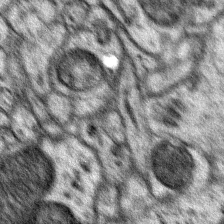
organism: Mouse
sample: Primary visual cortex